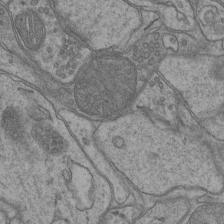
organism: Mouse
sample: CA1 Hippocampus